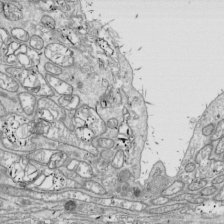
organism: Drosophila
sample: Cell division; meiosis; drosophila spermatocytes